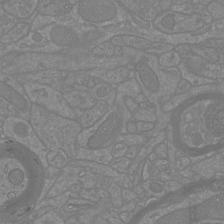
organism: Mouse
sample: Cortical neurons